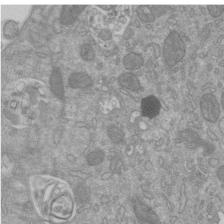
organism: Mouse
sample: ED-1 cell nuclei; centrioles